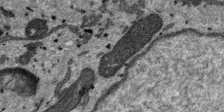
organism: Human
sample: Lung epithelial cells, uninfected (mock) control